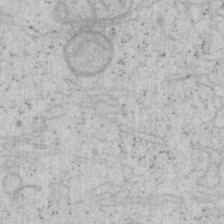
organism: Human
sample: HeLa cells